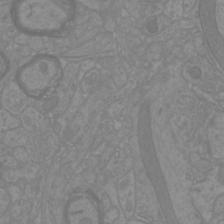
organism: Mouse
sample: Cortical neurons